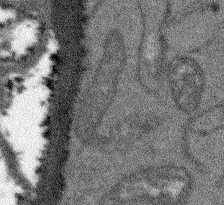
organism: Arabidopsis thaliana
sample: Root tip